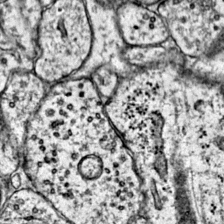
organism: Mouse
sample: Primary visual cortex